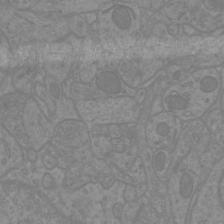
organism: Mouse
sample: Cortical neurons